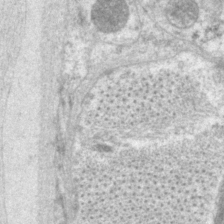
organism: P. pacificus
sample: Pharynx